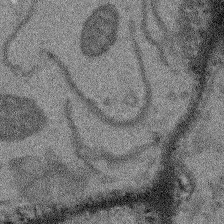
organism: Arabidopsis thaliana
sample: Root tip